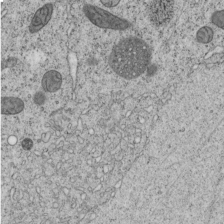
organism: C. elegans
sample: C. elegans embryo early stage